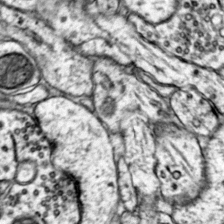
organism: Mouse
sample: Primary visual cortex